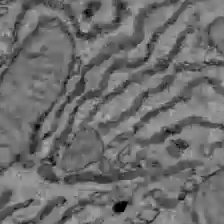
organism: C57BL Mouse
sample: Liver